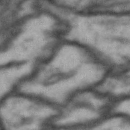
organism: Drosophila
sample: Brain